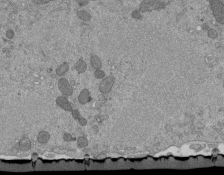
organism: Mouse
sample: ED-1 cell nuclei; centrioles